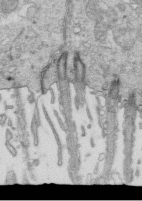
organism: Mouse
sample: Multiciliated cells